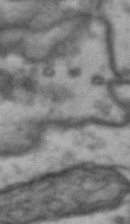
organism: Drosophila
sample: Brain